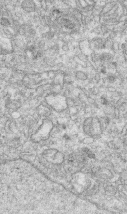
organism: Human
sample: HeLa cell HIV synapse